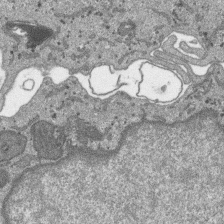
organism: Human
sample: Lung epithelial cells infected with SARS-CoV-2